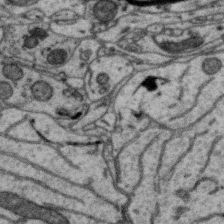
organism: Zebra finch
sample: Brain